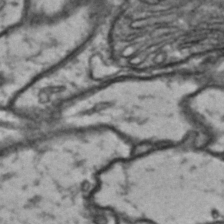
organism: Drosophila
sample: Brain